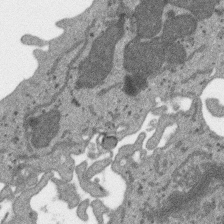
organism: Human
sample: Lung epithelial cells infected with SARS-CoV-2